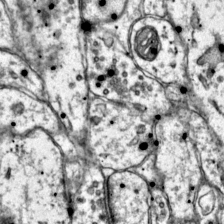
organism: Mouse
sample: Primary visual cortex